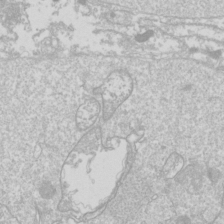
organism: Drosophila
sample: Cell division; meiosis; drosophila spermatocytes